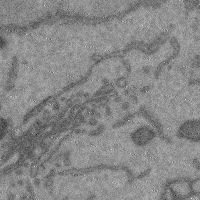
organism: Mouse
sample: Cerebral cortex